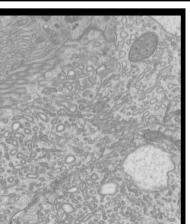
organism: Mouse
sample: Cilia; mouse epididymis